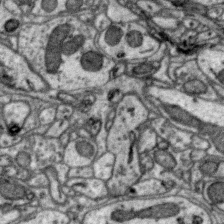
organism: Zebra finch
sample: Brain